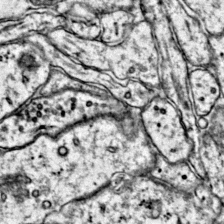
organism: Mouse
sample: Primary visual cortex